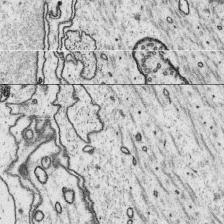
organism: Platynereis dumerilii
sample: Parapodia